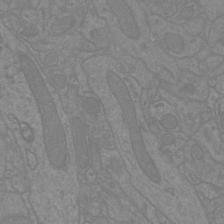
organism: Mouse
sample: Cortical neurons